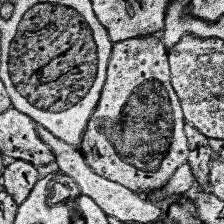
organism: Human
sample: Temporal Lobe